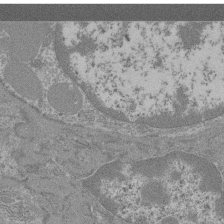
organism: Mouse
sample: Glomerulus